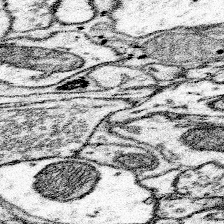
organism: Mouse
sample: Somatosensory cortex neuropil